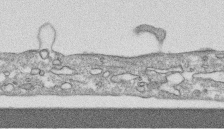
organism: Human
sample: CRL-1474